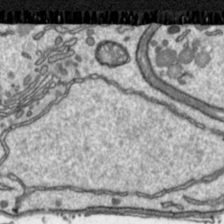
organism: Toxoplasma gondii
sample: Parasites in a vacuole inside a host cell